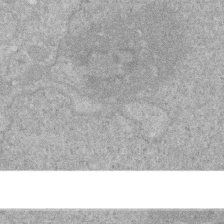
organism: Human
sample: HIV infected U937 cells